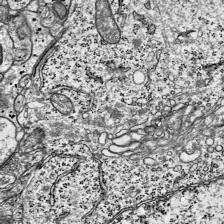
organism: Mouse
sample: Visual Cortex